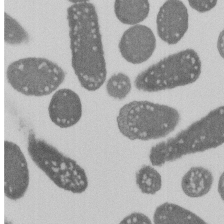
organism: E. coli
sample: Bacterial nucleoid